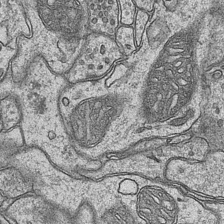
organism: Mouse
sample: CA1 Hippocampus